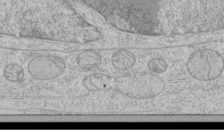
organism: Human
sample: Mitochondria in HCT116 cells